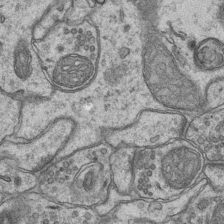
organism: Mouse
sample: CA1 Hippocampus